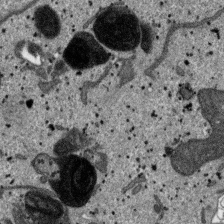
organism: Human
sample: Lung epithelial cells, uninfected (mock) control